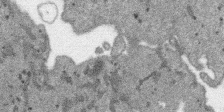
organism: Human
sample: Lung epithelial cells infected with SARS-CoV-2